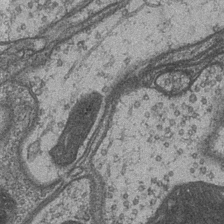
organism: Drosophila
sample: Optic medulla